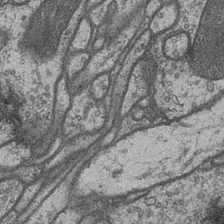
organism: Drosophila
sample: Optic medulla